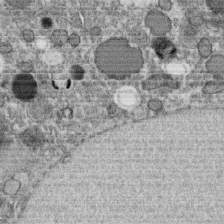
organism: C. elegans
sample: C. elegans oocyte; sperm cells